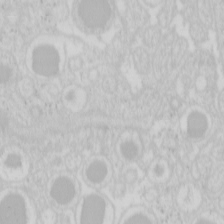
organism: Mouse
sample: Pancreas